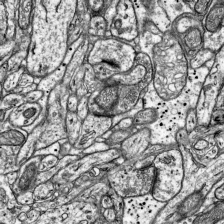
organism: Mouse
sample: Visual Cortex